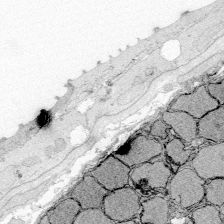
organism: Zebrafish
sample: Whole-Brain